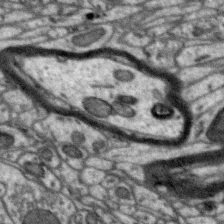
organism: Zebra finch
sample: Brain